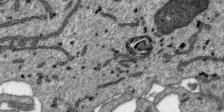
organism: Human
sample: Lung epithelial cells, uninfected (mock) control